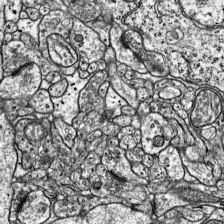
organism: Mouse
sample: Visual Cortex